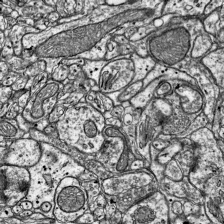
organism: Mouse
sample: Visual Cortex